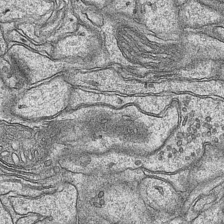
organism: Mouse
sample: CA1 Hippocampus